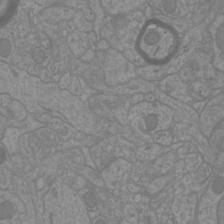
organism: Mouse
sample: Cortical neurons